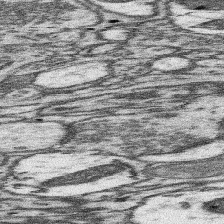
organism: Mouse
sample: Somatosensory cortex neuropil